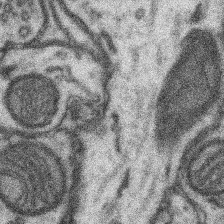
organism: Mouse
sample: Somatosensory cortex neuropil